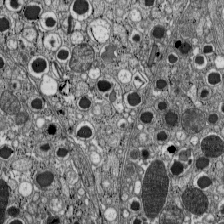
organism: C57BL Mouse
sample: Pancreatic islet